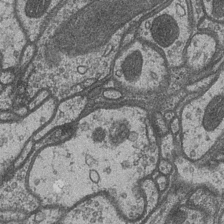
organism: Drosophila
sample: Optic medulla